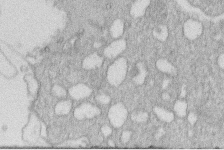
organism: Human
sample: Macrophage cells